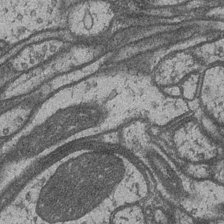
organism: Drosophila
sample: Optic medulla